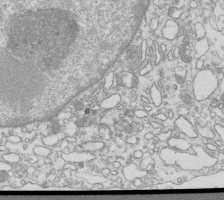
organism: Mouse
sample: Macrophages